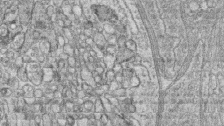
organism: Zebrafish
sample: synaptic ribbons in rod cells and cone cells